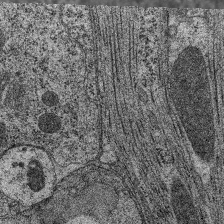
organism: C. elegans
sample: Pharynx